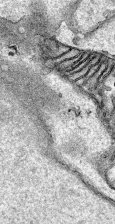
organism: Human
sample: Mitochondria in HCT116 cells